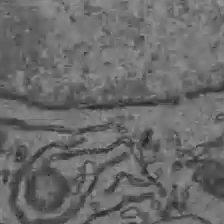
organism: C57BL Mouse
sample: Liver